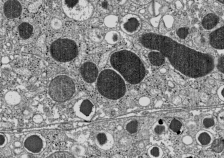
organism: C57BL Mouse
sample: Pancreatic islet